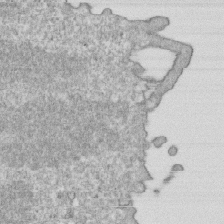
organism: Mouse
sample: Activated OT-1 CD8+ T cells